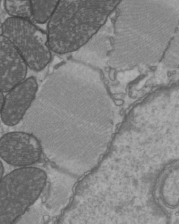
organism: C57BL Mouse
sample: Heart